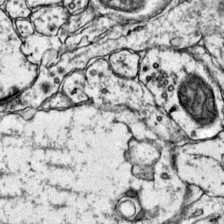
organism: Mouse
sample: Primary visual cortex